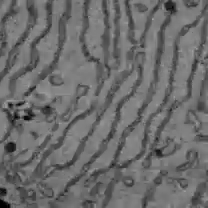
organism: C57BL Mouse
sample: Liver